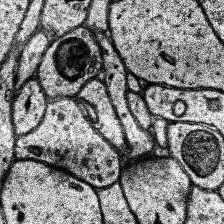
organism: Human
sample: Temporal Lobe